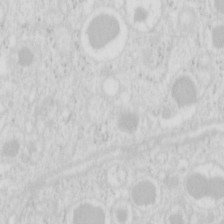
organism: Mouse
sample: Pancreas